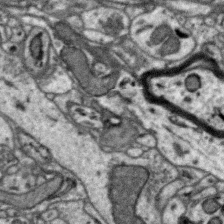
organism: Zebra finch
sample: Brain